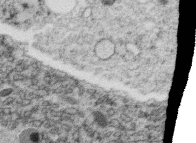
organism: C. elegans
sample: C. elegans oocyte; sperm cells